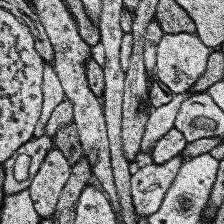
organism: Human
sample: Temporal Lobe